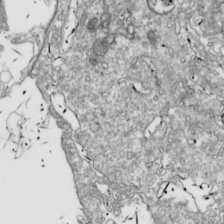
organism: Drosophila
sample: Cell division; meiosis; drosophila spermatocytes